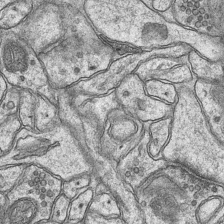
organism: Mouse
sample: CA1 Hippocampus